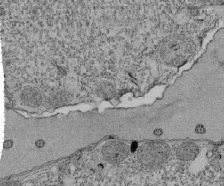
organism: Tetrahymena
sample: Cilia in tetrahymena